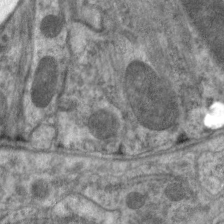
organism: C. elegans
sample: Pharynx